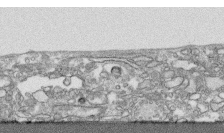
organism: Human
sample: CRL-1474